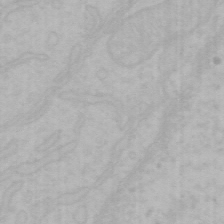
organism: Mouse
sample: Choroid plexus